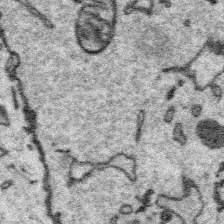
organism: Platynereis dumerilii